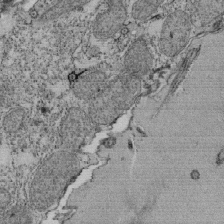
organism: Tetrahymena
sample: Cilia in tetrahymena